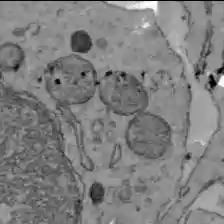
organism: C57BL Mouse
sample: Liver